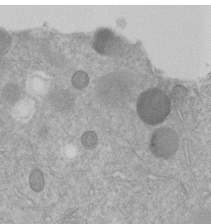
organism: C. elegans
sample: C. elegans embryo early stage